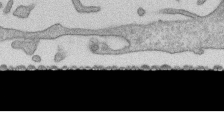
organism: Human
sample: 1205lu cells